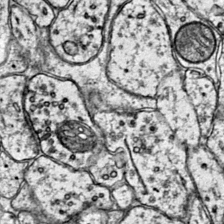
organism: Mouse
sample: Primary visual cortex